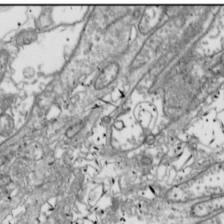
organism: Drosophila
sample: Cell division; meiosis; drosophila spermatocytes